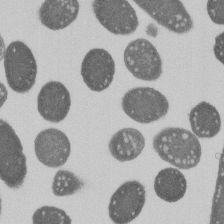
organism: E. coli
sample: Bacterial nucleoid